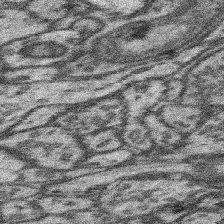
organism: Mouse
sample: Somatosensory cortex neuropil